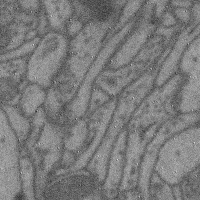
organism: Mouse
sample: Cerebral cortex